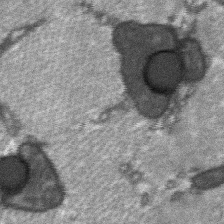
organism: C57BL Mouse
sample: Soleus